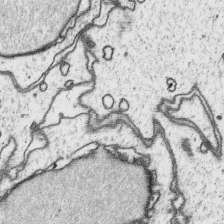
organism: Platynereis dumerilii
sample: Parapodia